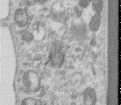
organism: Human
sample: Centriole in RPE cells